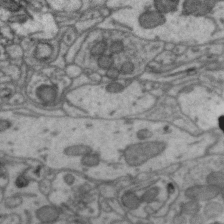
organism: Zebra finch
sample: Brain